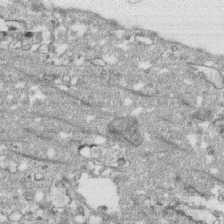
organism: Human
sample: CRL-1474